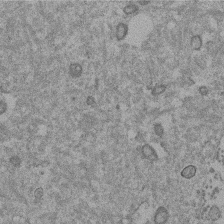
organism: Mouse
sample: Dividing mouse embryo 1 cell stage